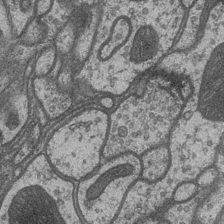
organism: Drosophila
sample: Optic medulla